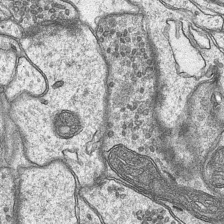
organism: Mouse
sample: CA1 Hippocampus